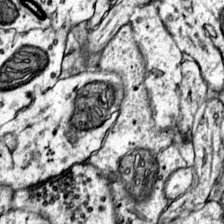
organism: Mouse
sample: Primary visual cortex